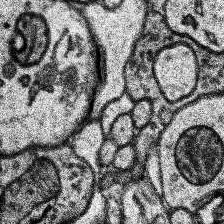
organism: Human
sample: Temporal Lobe